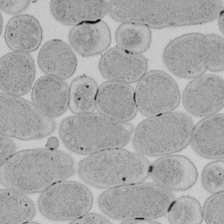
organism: E. coli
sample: Bacterial nucleoid